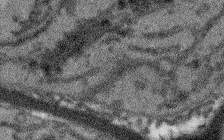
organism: Arabidopsis thaliana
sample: Root tip